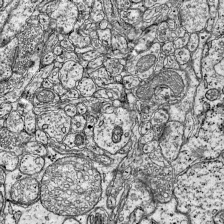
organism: Mouse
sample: Visual Cortex